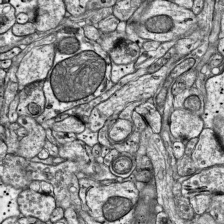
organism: Mouse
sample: Visual Cortex